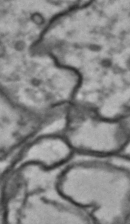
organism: Drosophila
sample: Brain